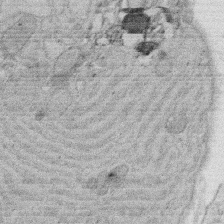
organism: Rat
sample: Salivary granule